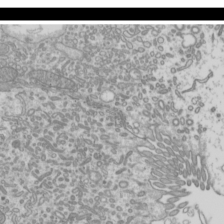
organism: Mouse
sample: Cilia; mouse epididymis